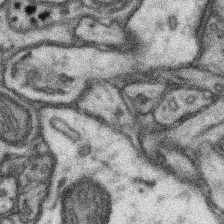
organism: Mouse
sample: Somatosensory cortex neuropil